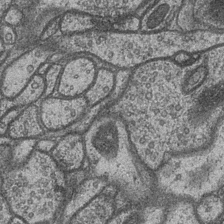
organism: Drosophila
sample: Optic medulla